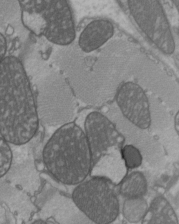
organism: C57BL Mouse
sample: Heart